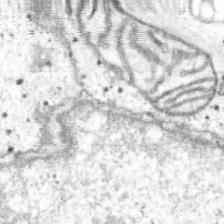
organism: Human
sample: HeLa cells